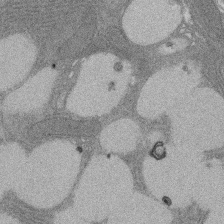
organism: Rat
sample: Salivary granule